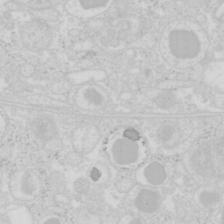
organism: Mouse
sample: Pancreas